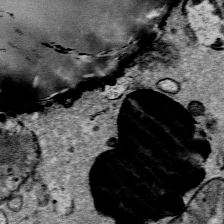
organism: Mouse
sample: Mouse Salivary gland